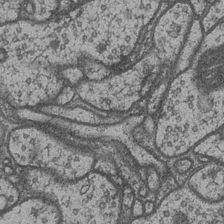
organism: Drosophila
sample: Optic medulla